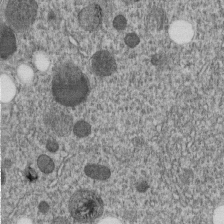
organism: C. elegans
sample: C. elegans embryo early stage